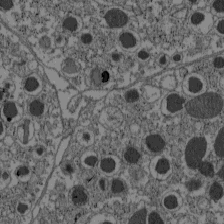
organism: C57BL Mouse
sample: Pancreatic islet